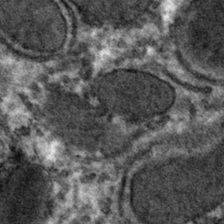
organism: Mouse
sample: Mouse hepatocytes